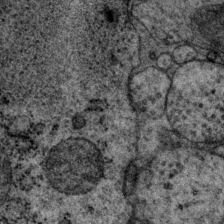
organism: P. pacificus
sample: Pharynx